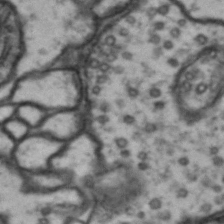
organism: Drosophila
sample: Brain